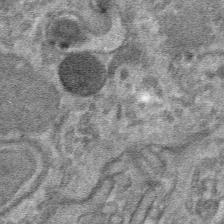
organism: Mouse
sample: Mouse hepatocytes